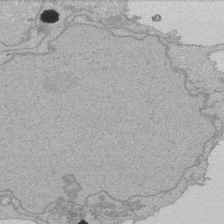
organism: Human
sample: Activated Jurkat CD4+ T cells